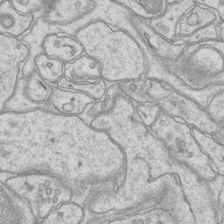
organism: Mouse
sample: CA1 Hippocampus